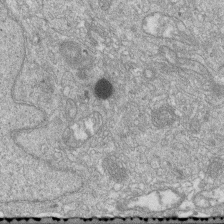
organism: Human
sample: HeLa cell HIV synapse